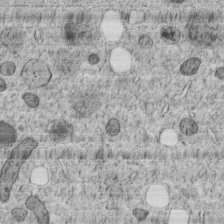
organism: C. elegans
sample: C. elegans embryo early stage